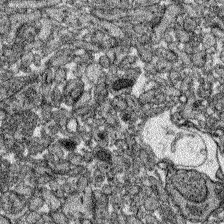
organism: Zebrafish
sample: Larval olfactory bulb